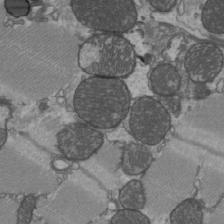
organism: C57BL Mouse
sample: Heart